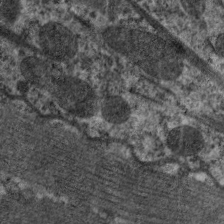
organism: C. elegans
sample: Pharynx